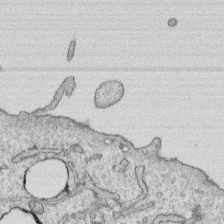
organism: Human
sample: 1205lu cells